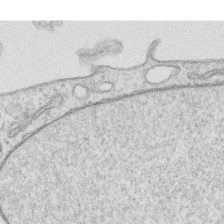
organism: Human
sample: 1205lu cells